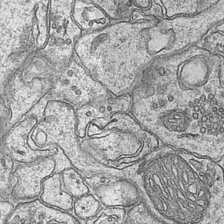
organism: Mouse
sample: CA1 Hippocampus